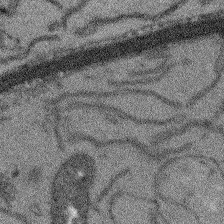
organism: Arabidopsis thaliana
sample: Root tip